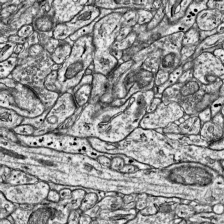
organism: Mouse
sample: Visual Cortex